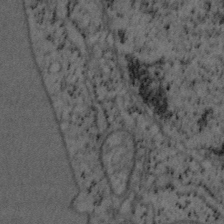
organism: Human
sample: HeLa cells